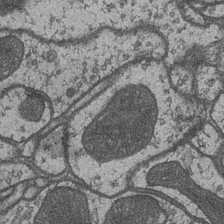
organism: Drosophila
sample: Optic medulla